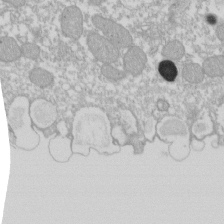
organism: Xenopus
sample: Cilia; centrioles in frog embryo cells